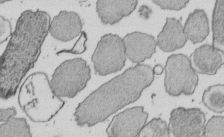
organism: E. coli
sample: Bacterial nucleoid